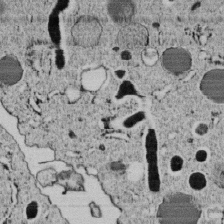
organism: C. elegans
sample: C. elegans embryo early stage